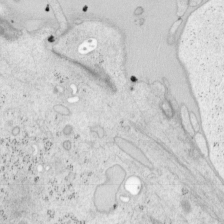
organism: Mouse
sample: OT-I killer T cells with ID8 ovarian cancer cells